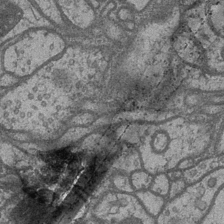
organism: Drosophila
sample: Optic medulla